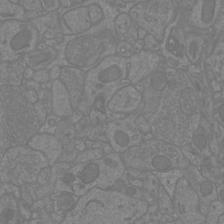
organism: Mouse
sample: Cortical neurons